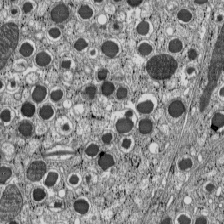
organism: C57BL Mouse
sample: Pancreatic islet